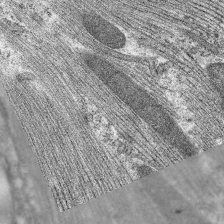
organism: C. elegans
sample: Pharynx